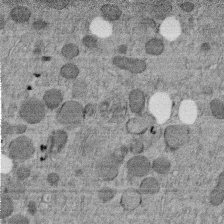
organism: C. elegans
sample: C. elegans embryo early stage